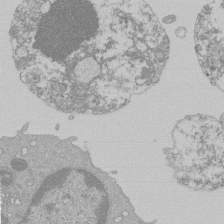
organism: Mouse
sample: Activated Pmel transgenic CD8+ T Cells